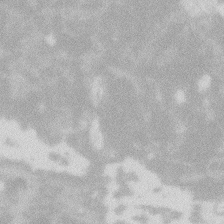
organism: Zebrafish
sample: Macrophage